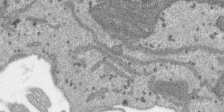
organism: Human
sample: Lung epithelial cells infected with SARS-CoV-2